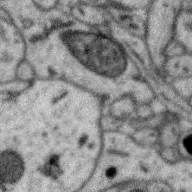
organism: Zebra finch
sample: Brain